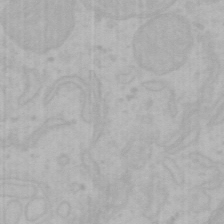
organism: Mouse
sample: Choroid plexus